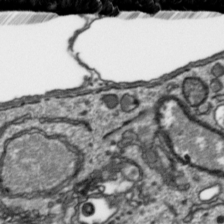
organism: Toxoplasma gondii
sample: Parasites in a vacuole inside a host cell